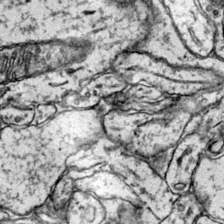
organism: Mouse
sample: Primary visual cortex